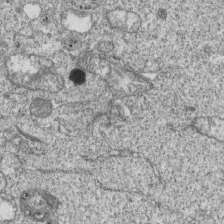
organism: Human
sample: HeLa cell HIV synapse